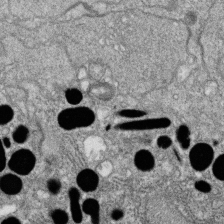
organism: Zebrafish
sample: Cilia; retinal pigment epithelium